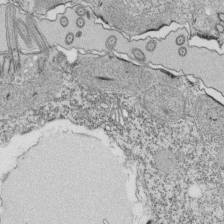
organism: Tetrahymena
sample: Cilia in tetrahymena